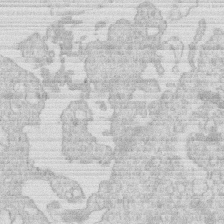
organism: Human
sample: Macrophage cells